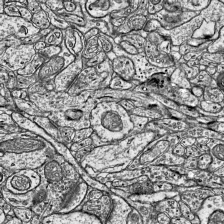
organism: Mouse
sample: Visual Cortex